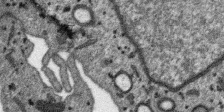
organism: Human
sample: Lung epithelial cells infected with SARS-CoV-2